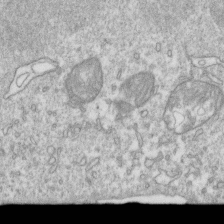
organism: Mouse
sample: Activated OT-1 CD8+ T cells